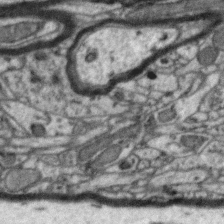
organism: Zebra finch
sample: Brain